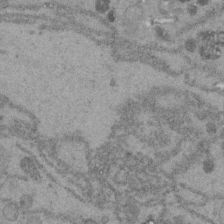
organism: C. elegans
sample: C. elegans embryo early stage